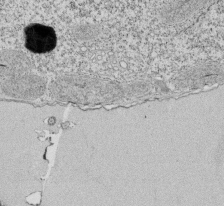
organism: Tetrahymena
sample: Cilia in tetrahymena